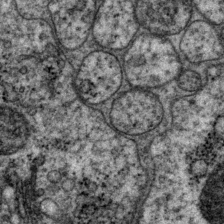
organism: P. pacificus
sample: Pharynx